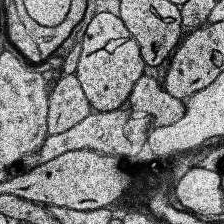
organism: Human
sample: Temporal Lobe